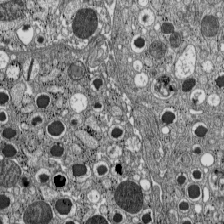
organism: C57BL Mouse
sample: Pancreatic islet